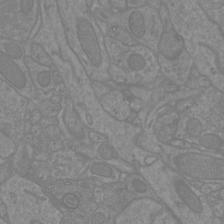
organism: Mouse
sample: Cortical neurons